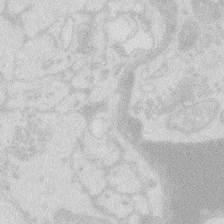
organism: Zebrafish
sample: Macrophage